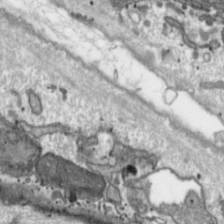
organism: Toxoplasma gondii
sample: Parasites in a vacuole inside a host cell